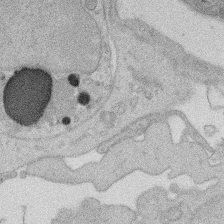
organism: Rat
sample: Salivary granule